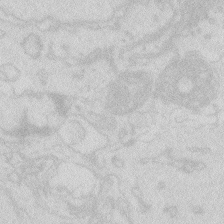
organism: Zebrafish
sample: Macrophage